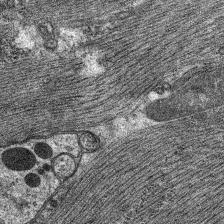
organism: C. elegans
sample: Pharynx